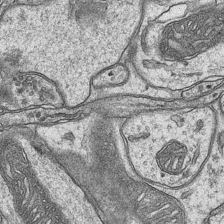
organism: Mouse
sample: CA1 Hippocampus